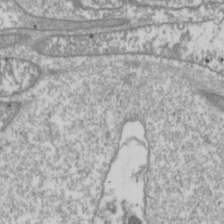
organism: Drosophila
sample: Cell division; meiosis; drosophila spermatocytes